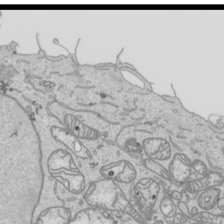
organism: Human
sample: Mitochondria in HCT116 cells